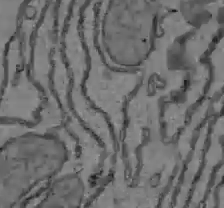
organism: C57BL Mouse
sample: Liver